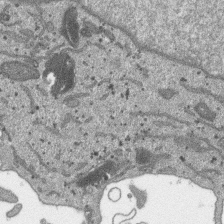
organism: Human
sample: Lung epithelial cells infected with SARS-CoV-2